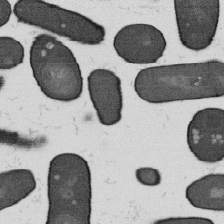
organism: B. subtilis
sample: Bacterial spore